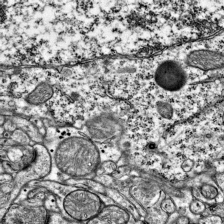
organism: Mouse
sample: Visual Cortex